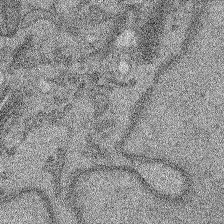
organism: Human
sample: HeLa cells